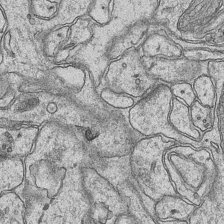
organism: Mouse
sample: CA1 Hippocampus